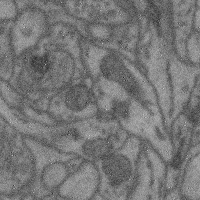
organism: Mouse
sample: Cerebral cortex